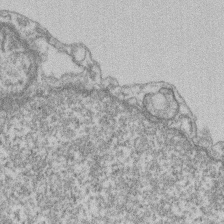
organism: Mouse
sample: T cell stromal cell synapse